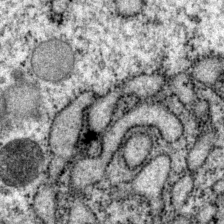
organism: P. pacificus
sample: Pharynx